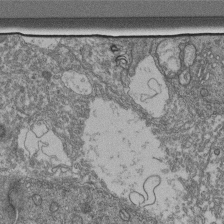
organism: Human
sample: Retinal organoid Rod and Cone cells